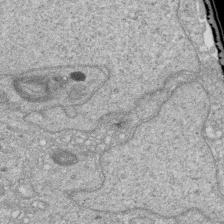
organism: Human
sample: HeLa cell HIV synapse